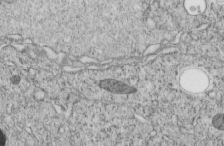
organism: C. elegans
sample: C. elegans embryo early stage